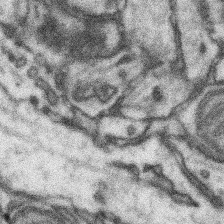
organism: Mouse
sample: Somatosensory cortex neuropil